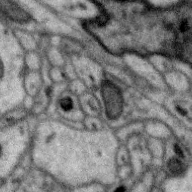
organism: Zebra finch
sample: Brain